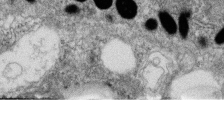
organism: Zebrafish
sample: Cilia; retinal pigment epithelium